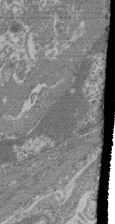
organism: Mouse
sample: Glomerulus